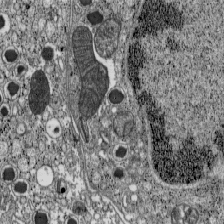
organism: C57BL Mouse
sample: Pancreatic islet